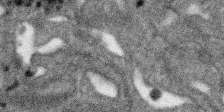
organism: Human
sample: Lung epithelial cells infected with SARS-CoV-2